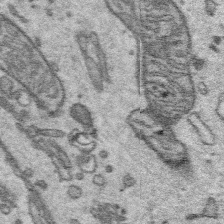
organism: Platynereis dumerilii